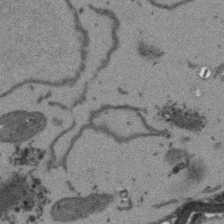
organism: Arabidopsis thaliana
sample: Root tip